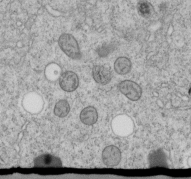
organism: C. elegans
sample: C. elegans embryo early stage